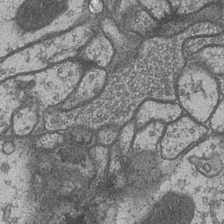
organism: Drosophila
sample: Optic medulla